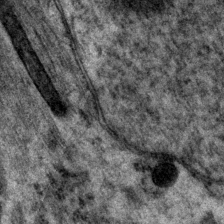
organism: P. pacificus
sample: Pharynx